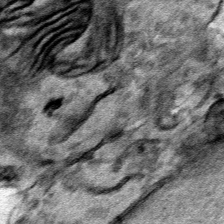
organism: Human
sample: Mitochondria in HCT116 cells